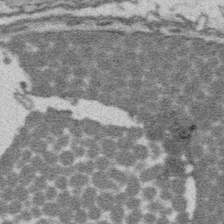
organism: Platynereis dumerilii